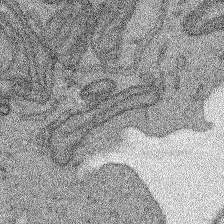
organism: Human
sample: HeLa cells